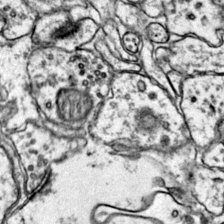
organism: Mouse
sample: Primary visual cortex